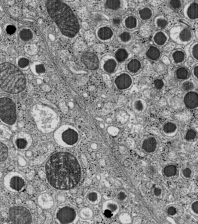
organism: C57BL Mouse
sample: Pancreatic islet